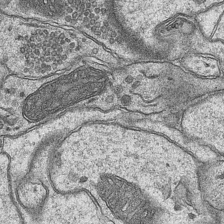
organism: Mouse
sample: CA1 Hippocampus